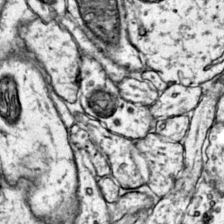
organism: Mouse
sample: Primary visual cortex